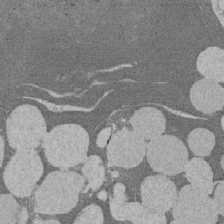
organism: Rat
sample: Salivary granule